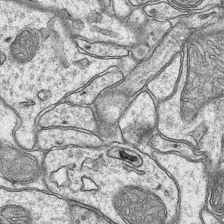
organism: Mouse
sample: CA1 Hippocampus